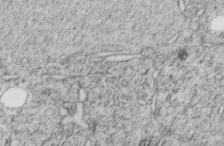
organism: C. elegans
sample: C. elegans embryo early stage